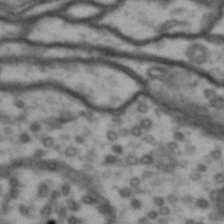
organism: Drosophila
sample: Brain